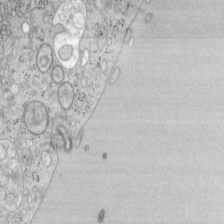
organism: Mouse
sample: OT-I killer T cells with ID8 ovarian cancer cells